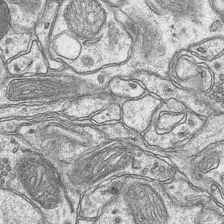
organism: Mouse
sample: CA1 Hippocampus